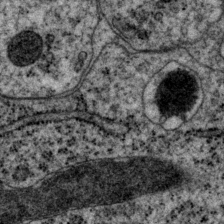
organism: P. pacificus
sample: Pharynx